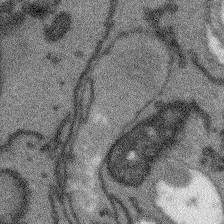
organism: Arabidopsis thaliana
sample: Root tip